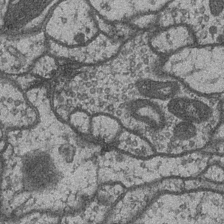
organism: Drosophila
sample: Optic medulla